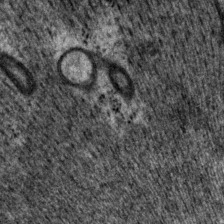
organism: P. pacificus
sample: Pharynx